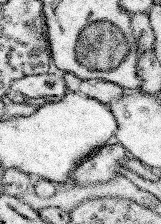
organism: Mouse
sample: Somatosensory cortex neuropil